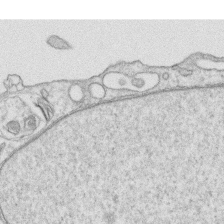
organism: Human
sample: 1205lu cells